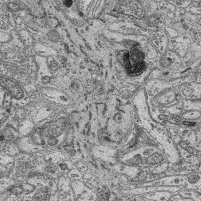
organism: Mouse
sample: Retina